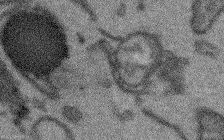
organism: Arabidopsis thaliana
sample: Root tip